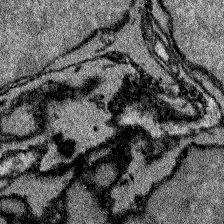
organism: Zebrafish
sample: Larval olfactory bulb